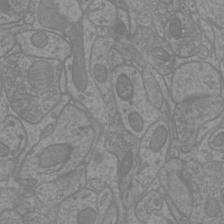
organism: Mouse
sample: Cortical neurons